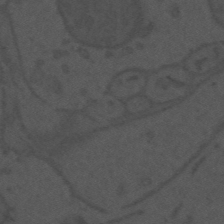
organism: Mouse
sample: Suprachiasmatic nucleus